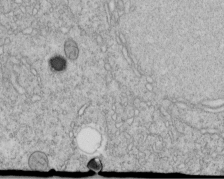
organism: C. elegans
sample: C. elegans embryo early stage